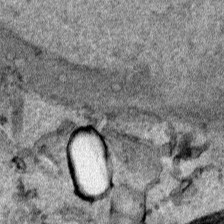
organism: Human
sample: Mitochondria in HCT116 cells